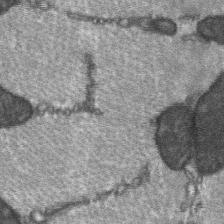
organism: C57BL Mouse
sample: Soleus